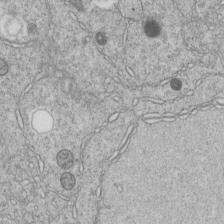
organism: C. elegans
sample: C. elegans embryo early stage